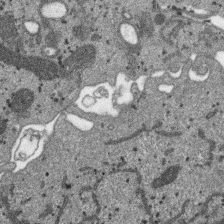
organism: Human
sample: Lung epithelial cells infected with SARS-CoV-2